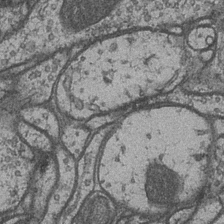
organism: Drosophila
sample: Optic medulla